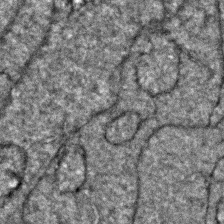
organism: Zebrafish